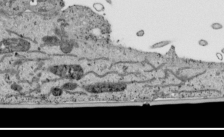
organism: Human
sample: Mitochondria in HCT116 cells